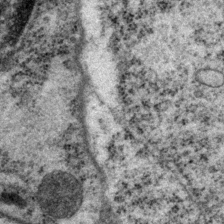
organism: P. pacificus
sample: Pharynx